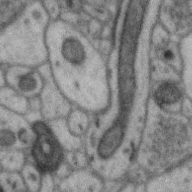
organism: Zebra finch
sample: Brain